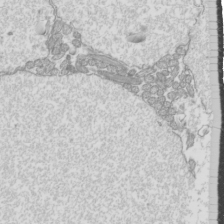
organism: Mouse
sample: Cilia; mouse epididymis